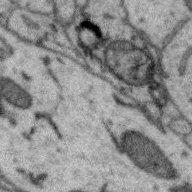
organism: Zebra finch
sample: Brain